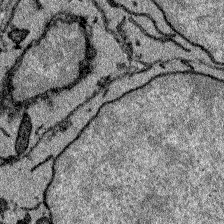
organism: Zebrafish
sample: Larval olfactory bulb